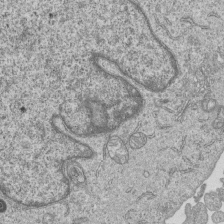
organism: Human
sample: MDA-MB-231 cells